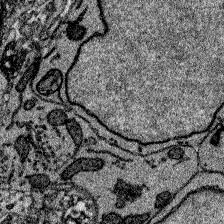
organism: Zebrafish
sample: Larval olfactory bulb